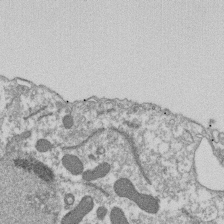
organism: Dictyostelium discoideum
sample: Dictyostelium multivesicular bodies